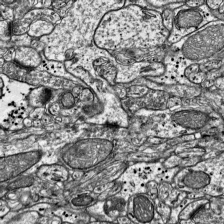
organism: Mouse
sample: Visual Cortex